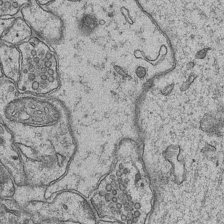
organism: Mouse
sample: CA1 Hippocampus